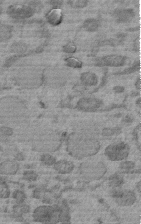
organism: C. elegans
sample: C. elegans embryo early stage